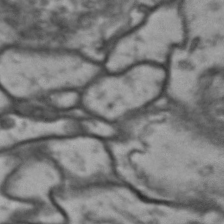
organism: Drosophila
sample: Brain